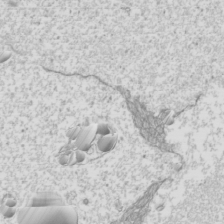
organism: Mouse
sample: Cilia; mouse epididymis